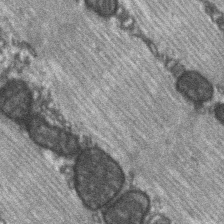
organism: C57BL Mouse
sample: Soleus